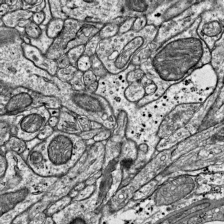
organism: Mouse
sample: Visual Cortex